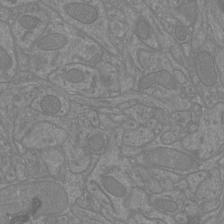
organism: Mouse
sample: Cortical neurons